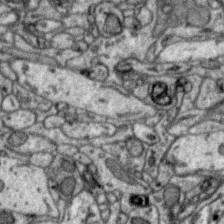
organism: Zebra finch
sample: Brain